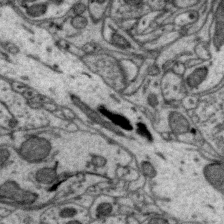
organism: Zebra finch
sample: Brain